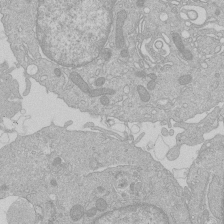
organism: Human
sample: Macrophage cells